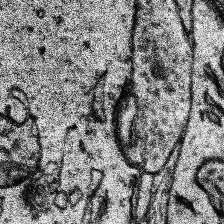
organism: Human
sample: Temporal Lobe